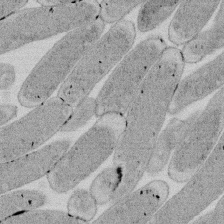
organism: E. coli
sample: Bacterial nucleoid